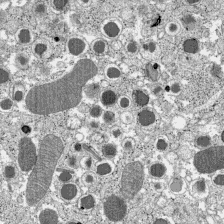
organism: C57BL Mouse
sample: Pancreatic islet